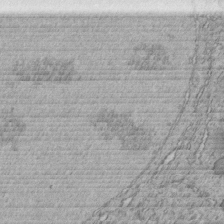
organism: C. elegans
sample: C. elegans embryo early stage